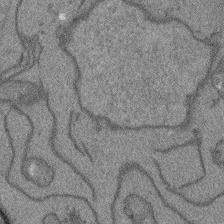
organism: Arabidopsis thaliana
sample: Root tip